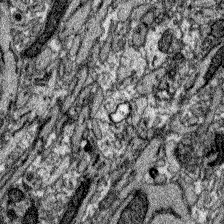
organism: Zebrafish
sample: Larval olfactory bulb